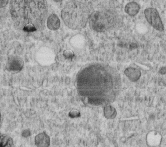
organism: C. elegans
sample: C. elegans embryo early stage